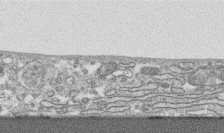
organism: Human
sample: CRL-1474